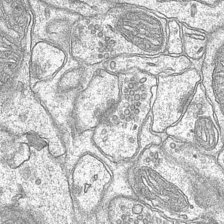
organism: Mouse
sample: CA1 Hippocampus